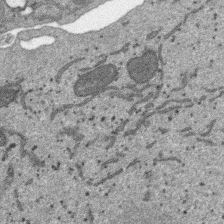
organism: Human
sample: Lung epithelial cells infected with SARS-CoV-2